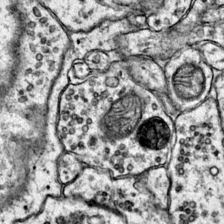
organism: Mouse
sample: Primary visual cortex